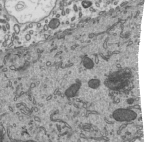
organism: Mouse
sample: Mouse epididymis efferent ductule cilia